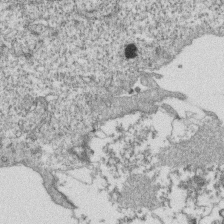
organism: Human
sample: HeLa cell HIV synapse